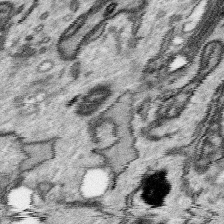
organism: Human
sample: HeLa cells